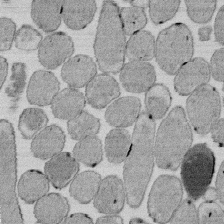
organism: E. coli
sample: Bacterial nucleoid